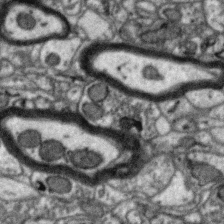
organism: Zebra finch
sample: Brain